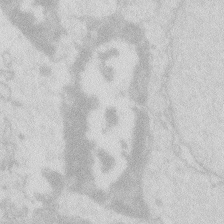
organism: Zebrafish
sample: Macrophage